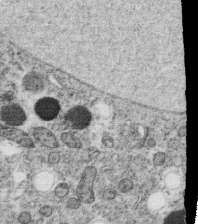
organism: C. elegans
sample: C. elegans oocyte; sperm cells